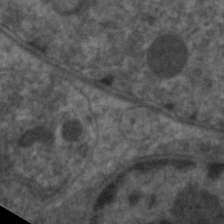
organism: C. elegans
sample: Pharynx